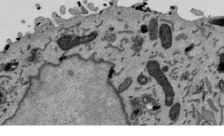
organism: Mouse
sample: ED-1 cell nuclei; centrioles